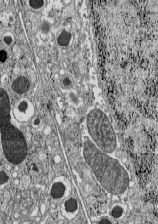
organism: C57BL Mouse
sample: Pancreatic islet